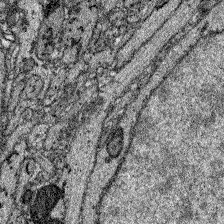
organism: Zebrafish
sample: Larval olfactory bulb